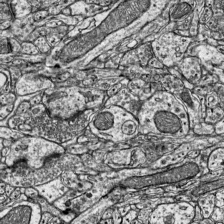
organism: Mouse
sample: Visual Cortex